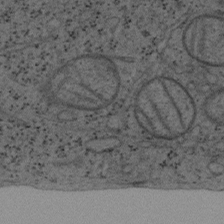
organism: Human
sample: HeLa cells